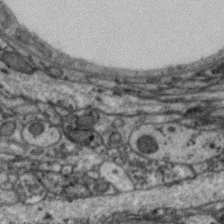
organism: Zebra finch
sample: Brain